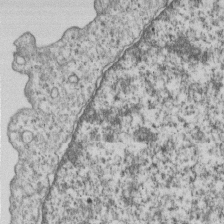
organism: Human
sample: MDA-MB-231 cells